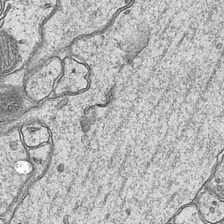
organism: Mouse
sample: CA1 Hippocampus